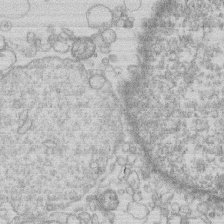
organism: Human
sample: Macrophage cells